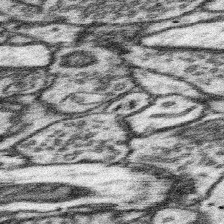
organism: Mouse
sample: Somatosensory cortex neuropil